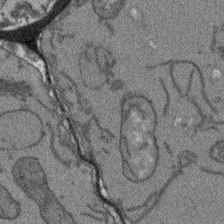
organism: Arabidopsis thaliana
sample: Root tip